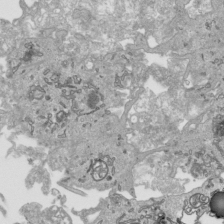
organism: Human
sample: Mitochondria in HCT116 cells